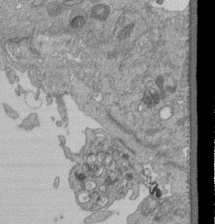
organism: Human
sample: Retinal organoid Rod and Cone cells